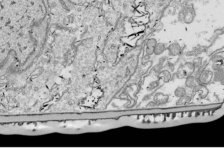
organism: Drosophila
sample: Cell division; meiosis; drosophila spermatocytes